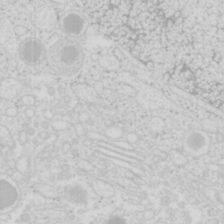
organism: Mouse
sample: Pancreas